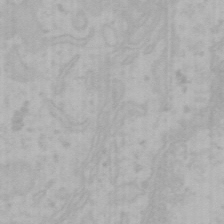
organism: Mouse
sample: Choroid plexus